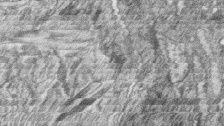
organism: Zebrafish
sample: synaptic ribbons in rod cells and cone cells